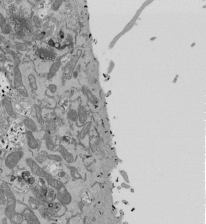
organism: Mouse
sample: ED-1 cell nuclei; centrioles